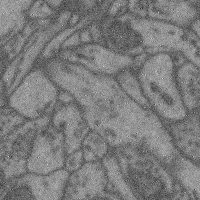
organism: Mouse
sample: Cerebral cortex